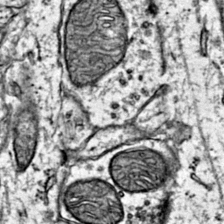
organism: Mouse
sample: Primary visual cortex